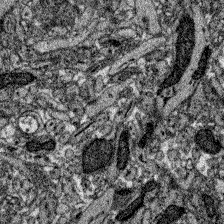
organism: Zebrafish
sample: Larval olfactory bulb